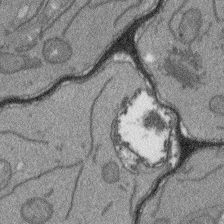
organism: Arabidopsis thaliana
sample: Root tip